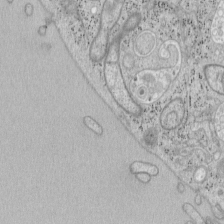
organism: Mouse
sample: OT-I killer T cells with ID8 ovarian cancer cells